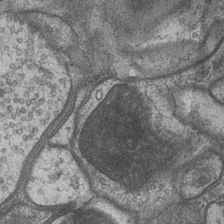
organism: Drosophila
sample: Optic medulla